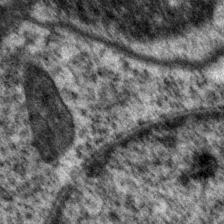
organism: P. pacificus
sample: Pharynx